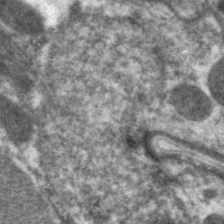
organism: C. elegans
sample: Pharynx